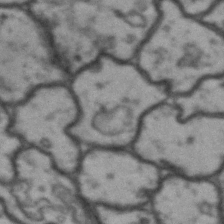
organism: Drosophila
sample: Brain